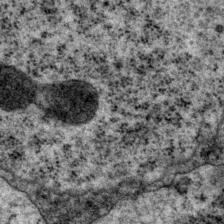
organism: P. pacificus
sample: Pharynx